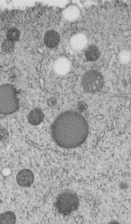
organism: C. elegans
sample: C. elegans embryo early stage